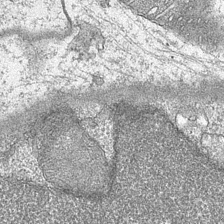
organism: Mouse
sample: CA1 Hippocampus